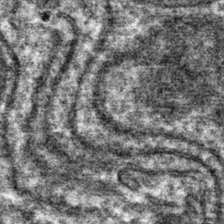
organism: Mouse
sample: Mouse hepatocytes